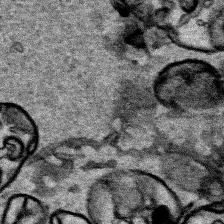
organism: Human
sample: Mitochondria in HCT116 cells